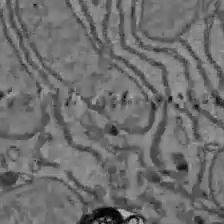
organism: C57BL Mouse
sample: Liver